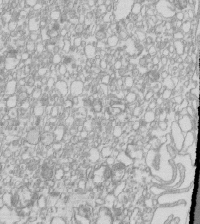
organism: Mouse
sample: Macrophages